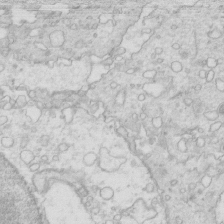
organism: Mouse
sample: Multiciliated cells